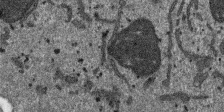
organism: Human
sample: Lung epithelial cells infected with SARS-CoV-2